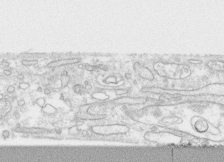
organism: Human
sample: CRL-1474